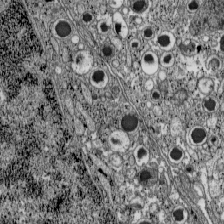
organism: C57BL Mouse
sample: Pancreatic islet